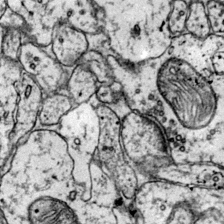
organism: Mouse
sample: Primary visual cortex